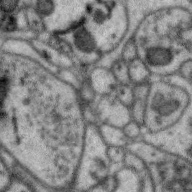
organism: Zebra finch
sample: Brain